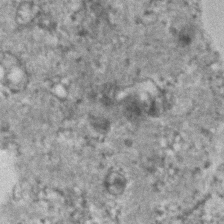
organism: Human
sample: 1205lu cells